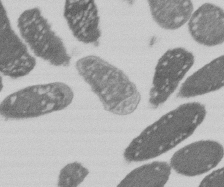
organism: E. coli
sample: Bacterial nucleoid